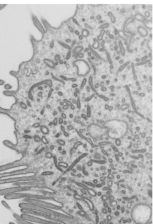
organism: Mouse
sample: Mouse epididymis efferent ductule cilia